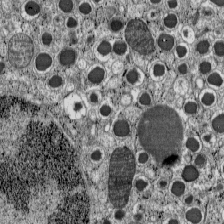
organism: C57BL Mouse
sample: Pancreatic islet